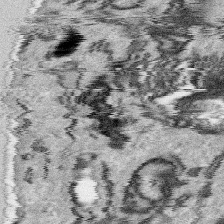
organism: Human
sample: HeLa cells